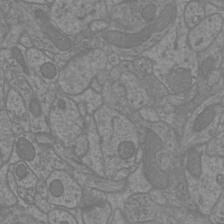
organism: Mouse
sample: Cortical neurons